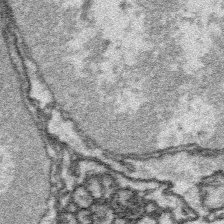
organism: Platynereis dumerilii